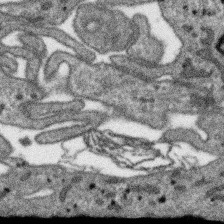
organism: Human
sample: Lung epithelial cells infected with SARS-CoV-2